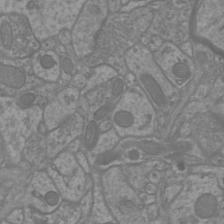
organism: Mouse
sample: Cortical neurons